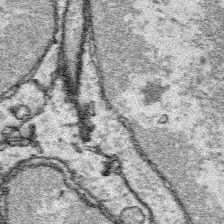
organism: Platynereis dumerilii